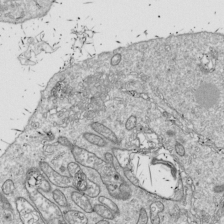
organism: Drosophila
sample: Cell division; meiosis; drosophila spermatocytes